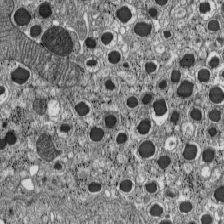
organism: C57BL Mouse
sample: Pancreatic islet